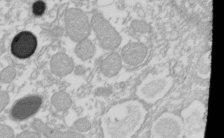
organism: Xenopus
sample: Cilia; centrioles in frog embryo cells